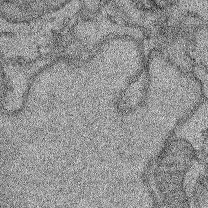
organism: Human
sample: HeLa cells